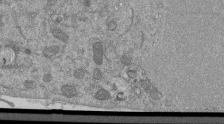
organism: Mouse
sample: ED-1 cell nuclei; centrioles